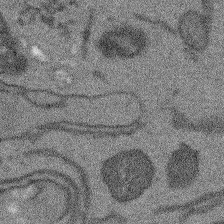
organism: Arabidopsis thaliana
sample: Root tip